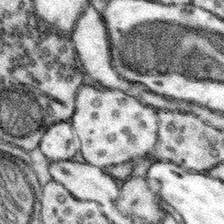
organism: Mouse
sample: Somatosensory cortex neuropil